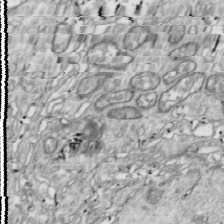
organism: Drosophila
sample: Cell division; meiosis; drosophila spermatocytes